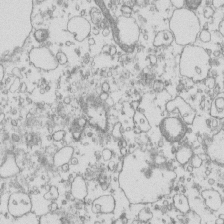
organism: Mouse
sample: Macrophages